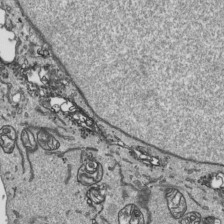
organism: Human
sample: Mitochondria in HCT116 cells